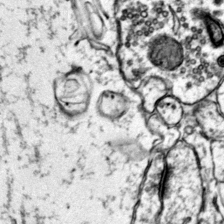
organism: Mouse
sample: Primary visual cortex